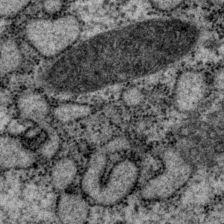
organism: P. pacificus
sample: Pharynx